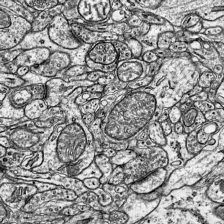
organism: Mouse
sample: Visual Cortex